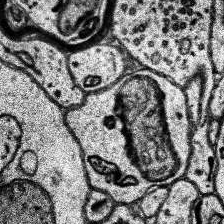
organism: Human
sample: Temporal Lobe